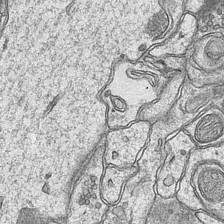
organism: Mouse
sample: CA1 Hippocampus